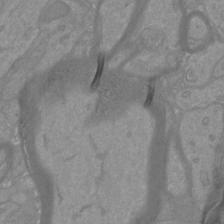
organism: Mouse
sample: Cortical neurons